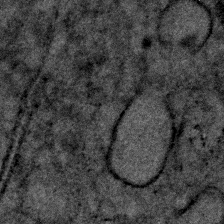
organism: Human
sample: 1205lu cells